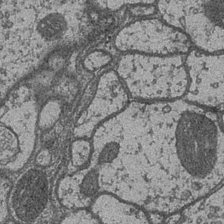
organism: Drosophila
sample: Optic medulla